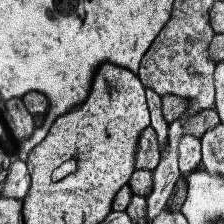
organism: Human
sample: Temporal Lobe